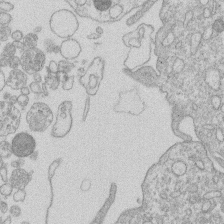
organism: Human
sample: Macrophage cells